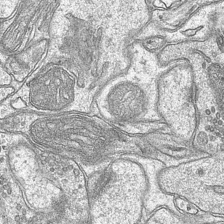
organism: Mouse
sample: CA1 Hippocampus